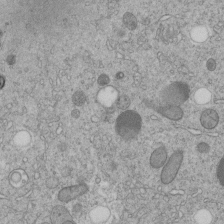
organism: C. elegans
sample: C. elegans embryo early stage